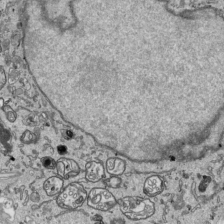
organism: Human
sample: Mitochondria in HCT116 cells